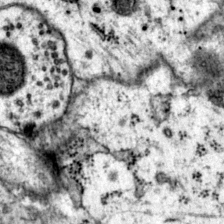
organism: Mouse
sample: Primary visual cortex